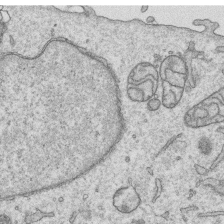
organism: Human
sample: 1205lu cells